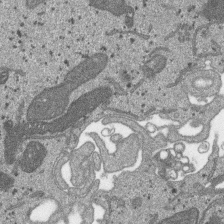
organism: Human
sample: Lung epithelial cells infected with SARS-CoV-2